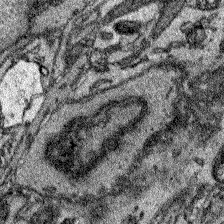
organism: Zebrafish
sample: Larval olfactory bulb